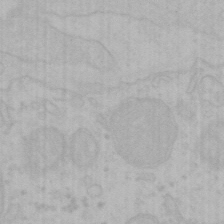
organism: Mouse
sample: Choroid plexus